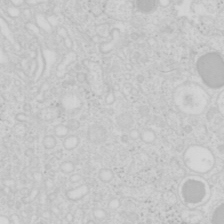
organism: Mouse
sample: Pancreas